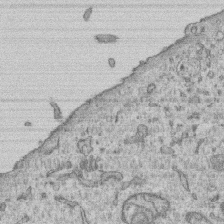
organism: Human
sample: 1205lu cells